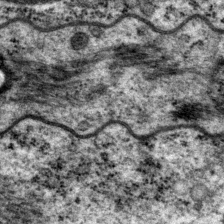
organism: P. pacificus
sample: Pharynx